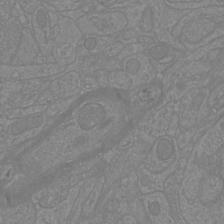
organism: Mouse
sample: Cortical neurons